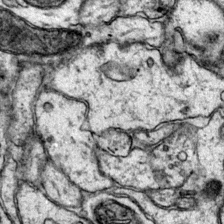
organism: Mouse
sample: Primary visual cortex